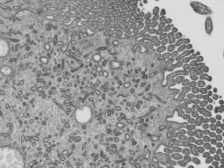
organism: Mouse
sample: Mouse epididymis efferent ductule cilia